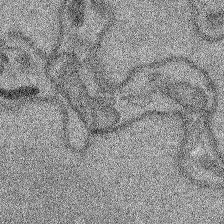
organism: Human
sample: HeLa cells